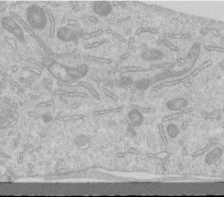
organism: Human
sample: Centriole in RPE cells